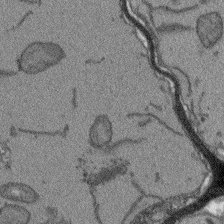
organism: Arabidopsis thaliana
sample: Root tip